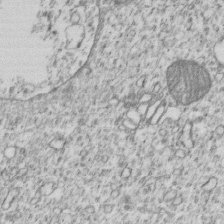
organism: Human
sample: MDA-MB-231 cells